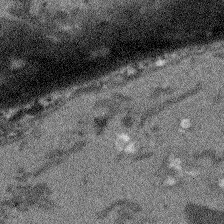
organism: Arabidopsis thaliana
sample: Root tip